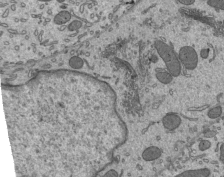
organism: Mouse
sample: Mouse epididymis efferent ductule cilia